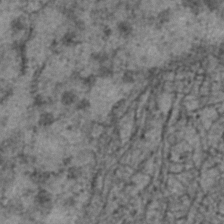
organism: C. elegans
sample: C. elegans embryo